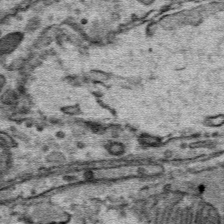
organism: Mouse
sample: Mouse Salivary gland